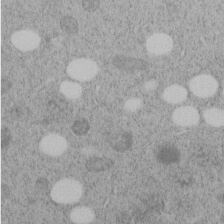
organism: C. elegans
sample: C. elegans embryo early stage